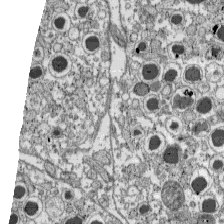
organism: C57BL Mouse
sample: Pancreatic islet